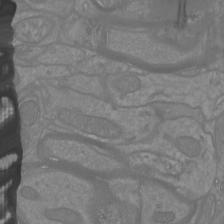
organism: Mouse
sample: Cortical neurons